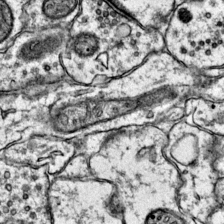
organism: Mouse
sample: Primary visual cortex